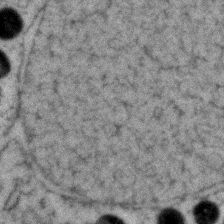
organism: Zebrafish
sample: Zebrafish embryo